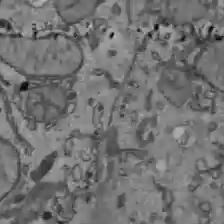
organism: C57BL Mouse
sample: Liver